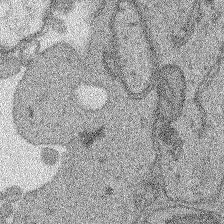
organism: Human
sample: HeLa cells